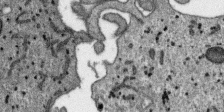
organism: Human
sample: Lung epithelial cells, uninfected (mock) control